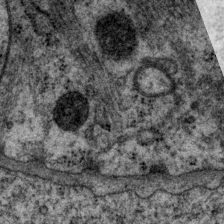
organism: P. pacificus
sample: Pharynx